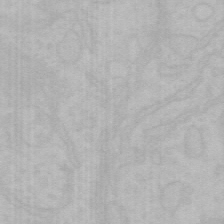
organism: Mouse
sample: Choroid plexus